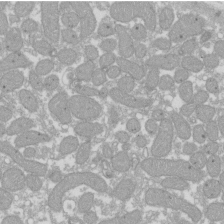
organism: Xenopus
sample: Cilia; centrioles in frog embryo cells